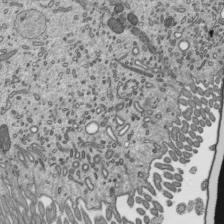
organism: Mouse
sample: Mouse epididymis efferent ductule cilia